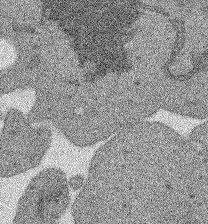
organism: Human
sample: HeLa cells